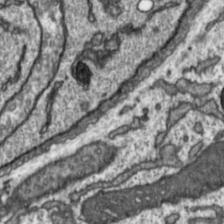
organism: Toxoplasma gondii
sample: Parasites in a vacuole inside a host cell